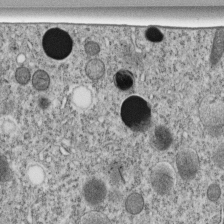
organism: C. elegans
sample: C. elegans embryo early stage